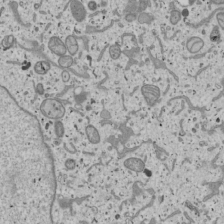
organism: Human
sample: Mitochondria in U2OS cells